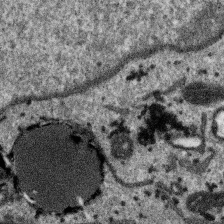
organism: Human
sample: Lung epithelial cells infected with SARS-CoV-2